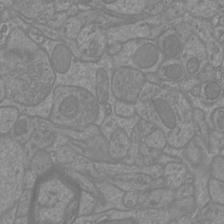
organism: Mouse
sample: Cortical neurons